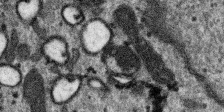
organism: Human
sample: Lung epithelial cells infected with SARS-CoV-2